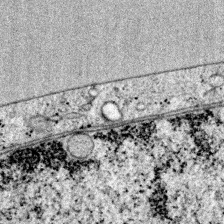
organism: Human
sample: HeLa cells